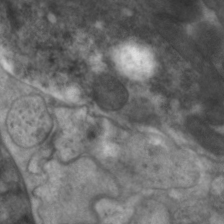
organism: C. elegans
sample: Pharynx